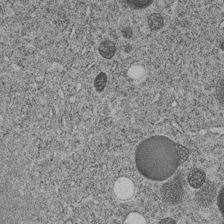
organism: C. elegans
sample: C. elegans embryo early stage